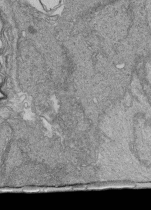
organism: Human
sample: Retinal organoid Rod and Cone cells